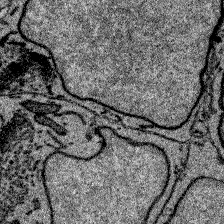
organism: Zebrafish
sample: Larval olfactory bulb